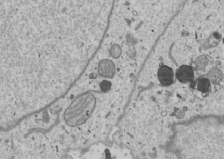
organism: Human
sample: Mitochondria in U2OS cells